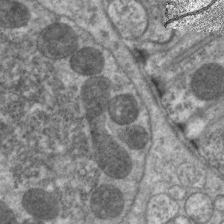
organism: C. elegans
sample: Pharynx